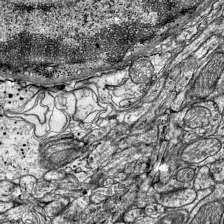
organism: Mouse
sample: Visual Cortex